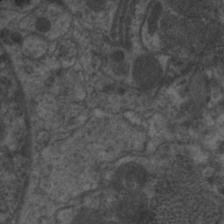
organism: C. elegans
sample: Pharynx